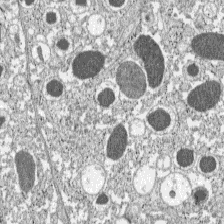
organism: C57BL Mouse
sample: Pancreatic islet